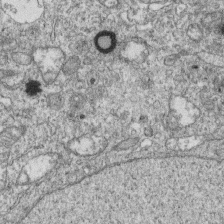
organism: Human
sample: HeLa cell HIV synapse